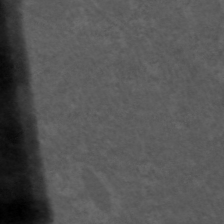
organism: C. elegans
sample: Pharynx